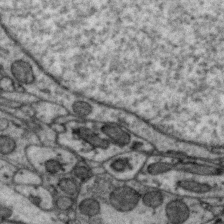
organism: Zebra finch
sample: Brain